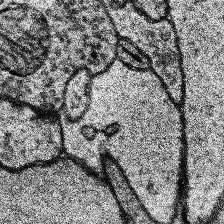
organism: Human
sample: Temporal Lobe